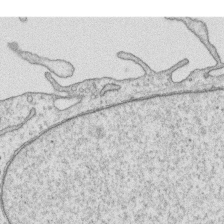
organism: Human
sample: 1205lu cells